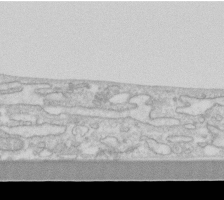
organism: Human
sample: Fibroblast cells